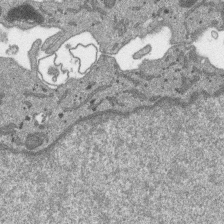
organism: Human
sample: Lung epithelial cells infected with SARS-CoV-2